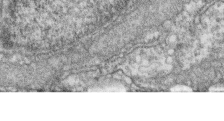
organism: Zebrafish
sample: Cilia; retinal pigment epithelium